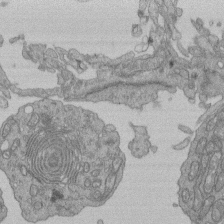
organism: Human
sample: Retinal organoid Rod and Cone cells